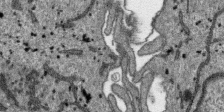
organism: Human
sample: Lung epithelial cells, uninfected (mock) control